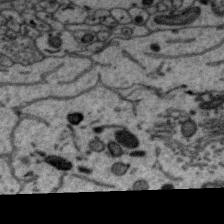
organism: Zebra finch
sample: Brain